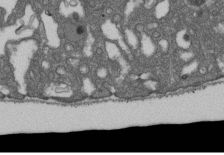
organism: Drosophila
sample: Nephrocyte